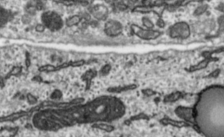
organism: Toxoplasma gondii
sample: Parasites in a vacuole inside a host cell